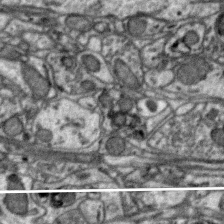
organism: Zebra finch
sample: Brain